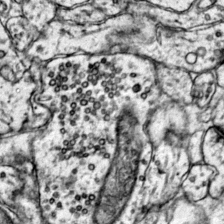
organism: Mouse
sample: Primary visual cortex